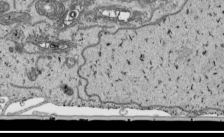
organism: Human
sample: Mitochondria in HCT116 cells